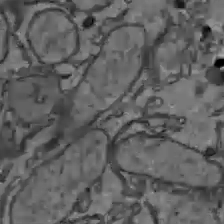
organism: C57BL Mouse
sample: Liver